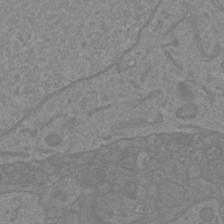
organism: Mouse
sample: Cortical neurons